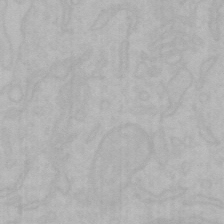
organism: Mouse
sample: Choroid plexus